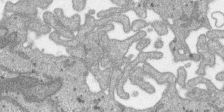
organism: Human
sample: Lung epithelial cells infected with SARS-CoV-2